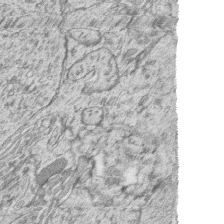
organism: Zebrafish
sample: synaptic ribbons in rod cells and cone cells